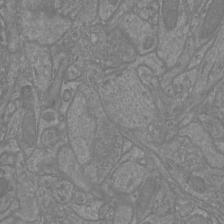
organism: Mouse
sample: Cortical neurons